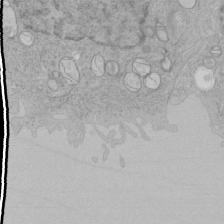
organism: Human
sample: Mitochondria in HCT116 cells